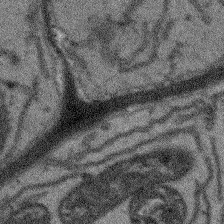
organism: Arabidopsis thaliana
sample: Root tip